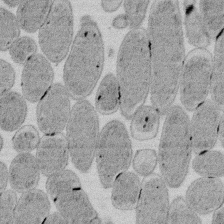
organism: E. coli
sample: Bacterial nucleoid